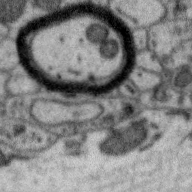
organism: Zebra finch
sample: Brain